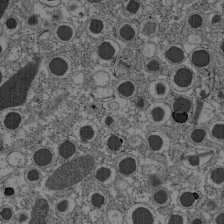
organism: C57BL Mouse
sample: Pancreatic islet